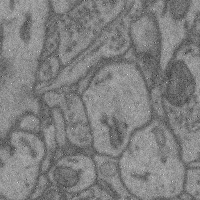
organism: Mouse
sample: Cerebral cortex